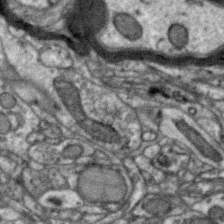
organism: Zebra finch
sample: Brain